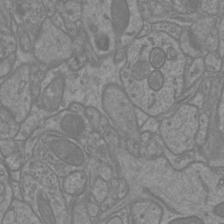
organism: Mouse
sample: Cortical neurons